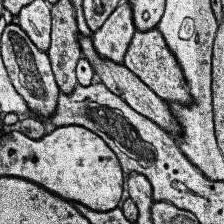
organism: Human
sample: Temporal Lobe